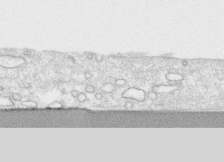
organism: Human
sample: CRL-1474